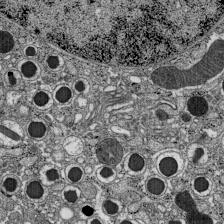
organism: C57BL Mouse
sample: Pancreatic islet